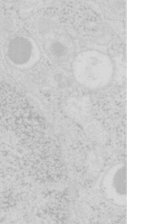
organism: Mouse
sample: Pancreas